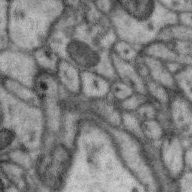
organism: Zebra finch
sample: Brain